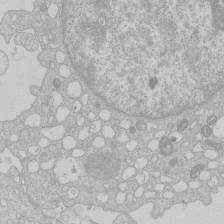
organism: Human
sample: Macrophage cells